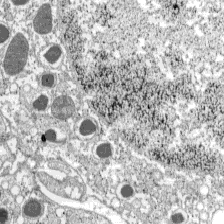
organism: C57BL Mouse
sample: Pancreatic islet